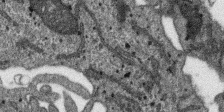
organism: Human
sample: Lung epithelial cells infected with SARS-CoV-2